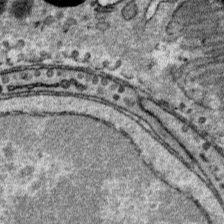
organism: Mouse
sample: Mouse Salivary gland